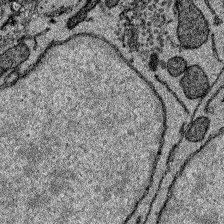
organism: Zebrafish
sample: Larval olfactory bulb